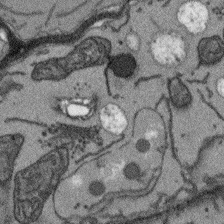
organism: Arabidopsis thaliana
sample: Root tip